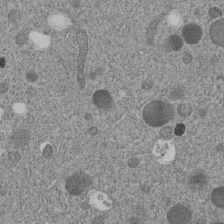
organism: C. elegans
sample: C. elegans embryo early stage